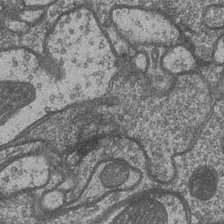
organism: Drosophila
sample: Optic medulla